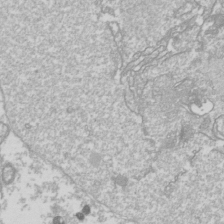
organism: Drosophila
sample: Cell division; meiosis; drosophila spermatocytes